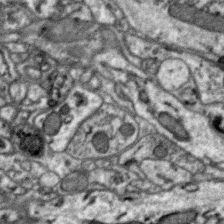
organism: Zebra finch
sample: Brain